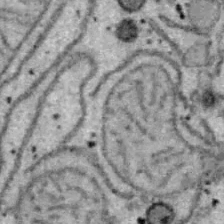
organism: Mouse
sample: Liver from an obese (ob/ob) mouse